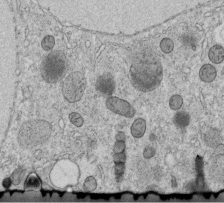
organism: C. elegans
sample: C. elegans embryo early stage